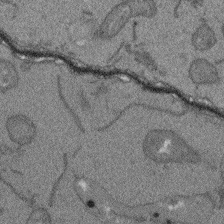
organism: Arabidopsis thaliana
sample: Root tip